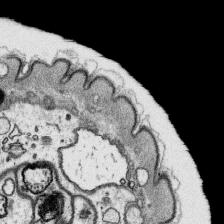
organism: Platynereis dumerilii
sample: Parapodia